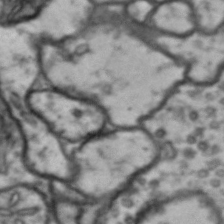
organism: Drosophila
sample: Brain